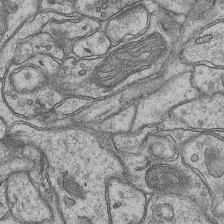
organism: Mouse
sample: CA1 Hippocampus